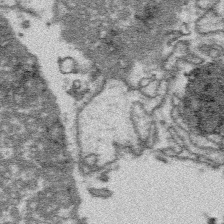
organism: Platynereis dumerilii